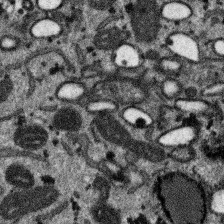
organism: Human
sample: Lung epithelial cells infected with SARS-CoV-2